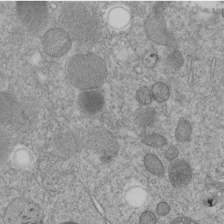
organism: C. elegans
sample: C. elegans embryo early stage